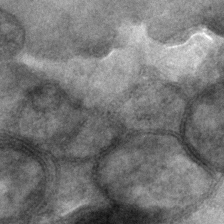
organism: C. elegans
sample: C. elegans embryo